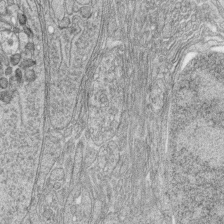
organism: Zebrafish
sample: synaptic ribbons in rod cells and cone cells